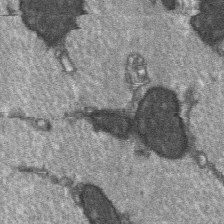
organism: C57BL Mouse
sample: Soleus